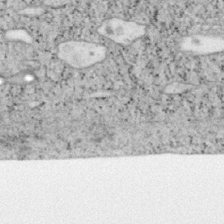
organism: Mouse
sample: OT-I killer T cells with ID8 ovarian cancer cells